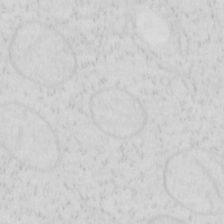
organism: Human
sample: SUM-159 cell